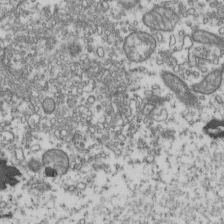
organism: Human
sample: Activated Jurkat CD4+ T cells